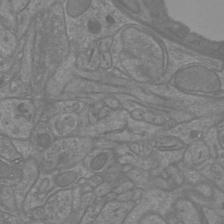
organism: Mouse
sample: Cortical neurons